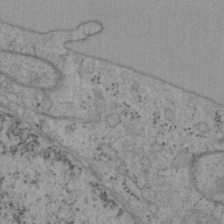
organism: Human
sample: HeLa cells